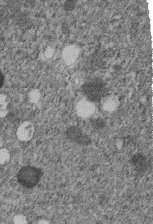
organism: C. elegans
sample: C. elegans embryo early stage